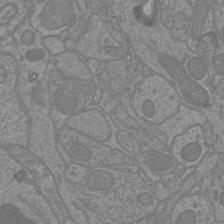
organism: Mouse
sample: Cortical neurons